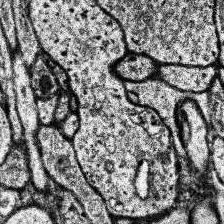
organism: Human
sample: Temporal Lobe